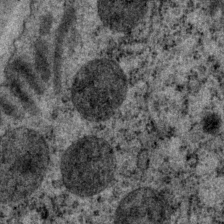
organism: P. pacificus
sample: Pharynx